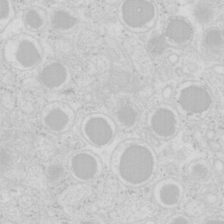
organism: Mouse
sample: Pancreas